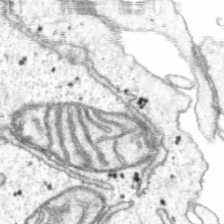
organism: Human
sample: HeLa cells